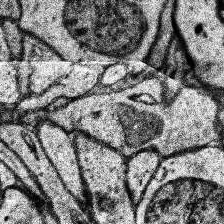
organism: Human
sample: Temporal Lobe